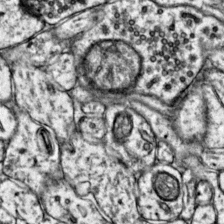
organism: Mouse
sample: Primary visual cortex